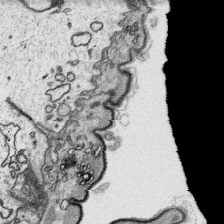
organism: Platynereis dumerilii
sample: Parapodia